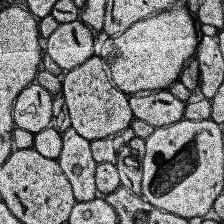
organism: Human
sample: Temporal Lobe